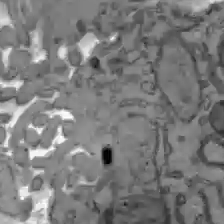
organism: C57BL Mouse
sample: Liver